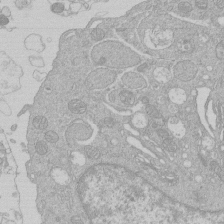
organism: Human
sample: Macrophage cells